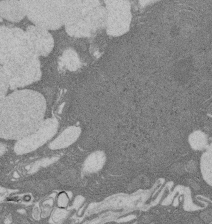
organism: Rat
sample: Salivary granule